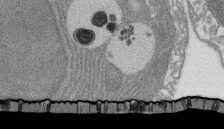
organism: Rat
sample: Salivary granule